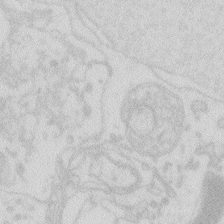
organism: Zebrafish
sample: Macrophage